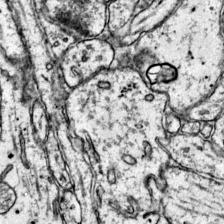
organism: Mouse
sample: Primary visual cortex